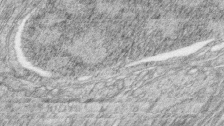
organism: Zebrafish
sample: synaptic ribbons in rod cells and cone cells